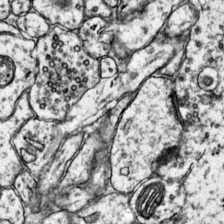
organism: Mouse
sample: Primary visual cortex